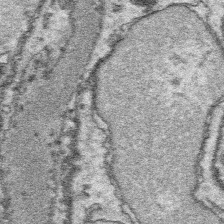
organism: Platynereis dumerilii